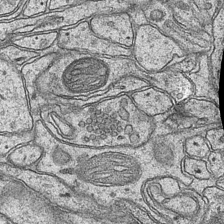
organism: Mouse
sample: CA1 Hippocampus